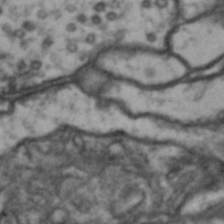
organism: Drosophila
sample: Brain